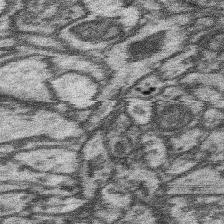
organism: Mouse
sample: Somatosensory cortex neuropil